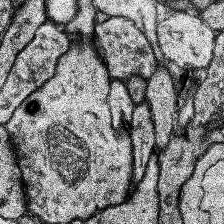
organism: Human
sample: Temporal Lobe